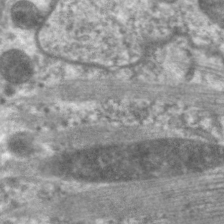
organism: C. elegans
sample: Pharynx